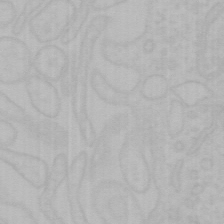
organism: Mouse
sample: Choroid plexus